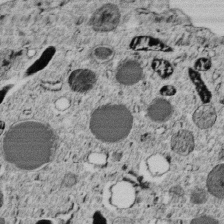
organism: C. elegans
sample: C. elegans embryo early stage